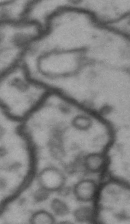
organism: Drosophila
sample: Brain